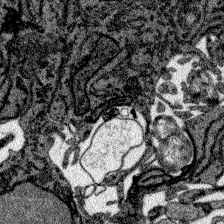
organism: Zebrafish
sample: Larval olfactory bulb